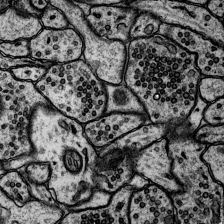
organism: Rat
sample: Hippocampus